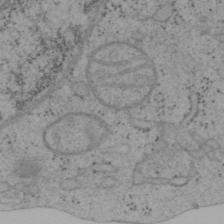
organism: Human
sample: HeLa cells